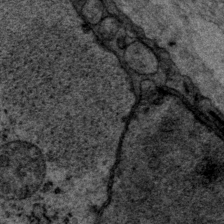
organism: P. pacificus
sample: Pharynx